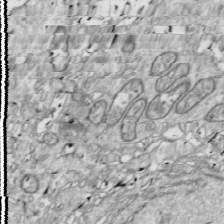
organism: Drosophila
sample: Cell division; meiosis; drosophila spermatocytes